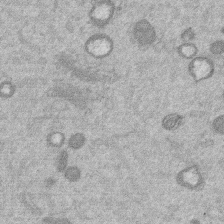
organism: Mouse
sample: Dividing mouse embryo 1 cell stage